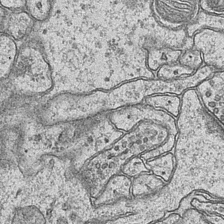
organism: Mouse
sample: CA1 Hippocampus